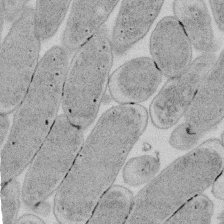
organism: E. coli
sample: Bacterial nucleoid